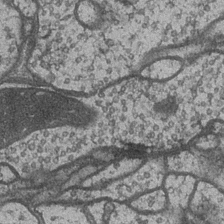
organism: Drosophila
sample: Optic medulla